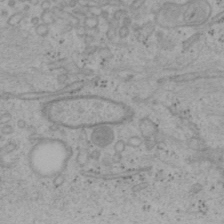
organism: Human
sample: HeLa cells